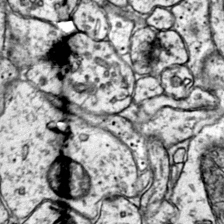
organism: Mouse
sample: Primary visual cortex